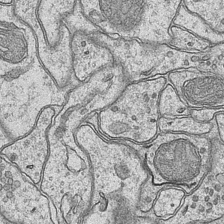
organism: Mouse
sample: CA1 Hippocampus